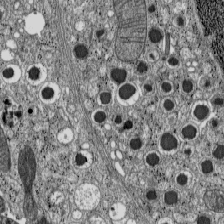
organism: C57BL Mouse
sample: Pancreatic islet